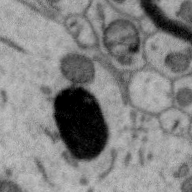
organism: Zebra finch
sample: Brain